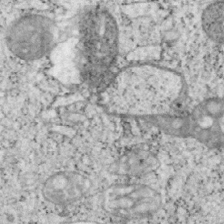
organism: Mouse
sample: OT-I killer T cells with ID8 ovarian cancer cells